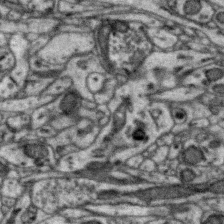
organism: Zebra finch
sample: Brain